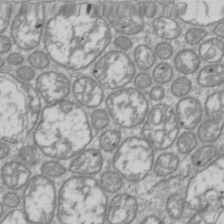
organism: Drosophila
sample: Cell division; meiosis; drosophila spermatocytes